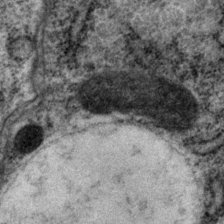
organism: P. pacificus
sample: Pharynx